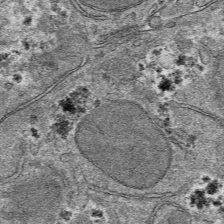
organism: Mouse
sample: Mouse hepatocytes